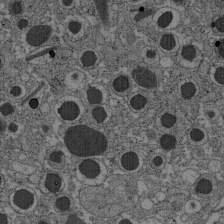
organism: C57BL Mouse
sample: Pancreatic islet